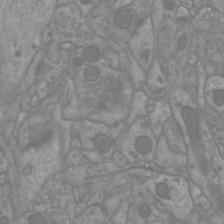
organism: Mouse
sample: Cortical neurons